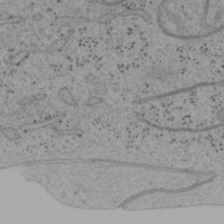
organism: Human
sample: HeLa cells